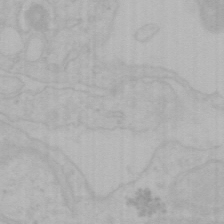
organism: Mouse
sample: Choroid plexus